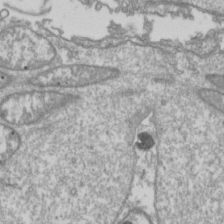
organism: Drosophila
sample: Cell division; meiosis; drosophila spermatocytes